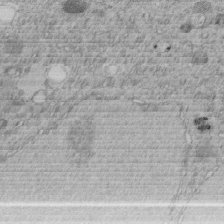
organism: C. elegans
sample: C. elegans embryo early stage